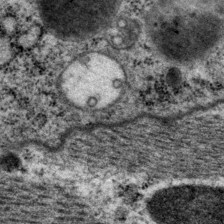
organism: P. pacificus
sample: Pharynx